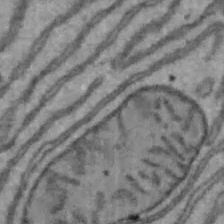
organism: Mouse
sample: Liver